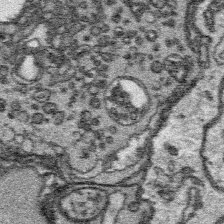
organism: Platynereis dumerilii